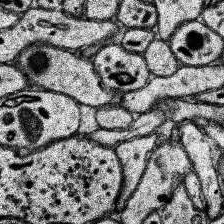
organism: Human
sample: Temporal Lobe